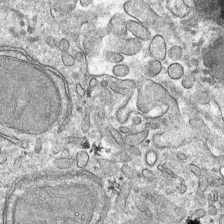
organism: Mouse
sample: Mouse hepatocytes